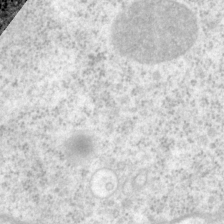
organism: P. pacificus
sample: Pharynx